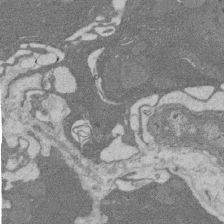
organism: Rat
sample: Salivary granule